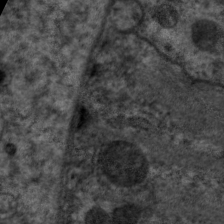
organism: C. elegans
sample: Pharynx